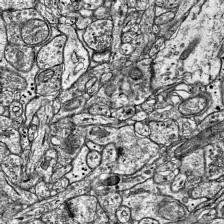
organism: Mouse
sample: Visual Cortex